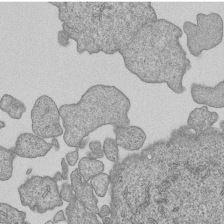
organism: Human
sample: MDA-MB-231 cells